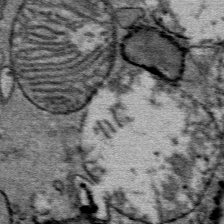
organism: Mouse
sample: Mouse Salivary gland